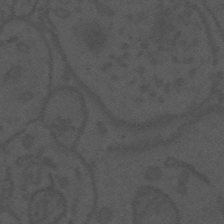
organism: Mouse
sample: Suprachiasmatic nucleus